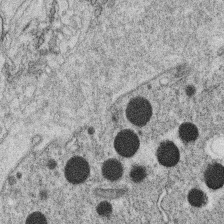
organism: C. elegans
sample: C. elegans oocyte; sperm cells